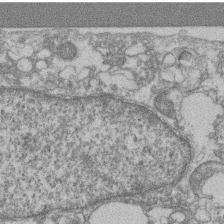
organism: Mouse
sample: T cell stromal cell synapse